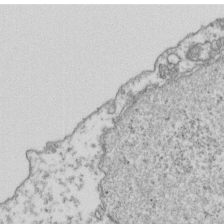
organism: Human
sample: Activated Jurkat CD4+ T cells